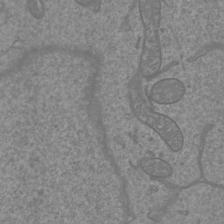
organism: Mouse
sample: Cortical neurons